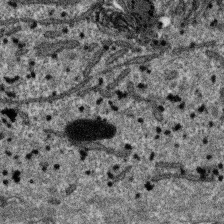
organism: Human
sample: Lung epithelial cells infected with SARS-CoV-2